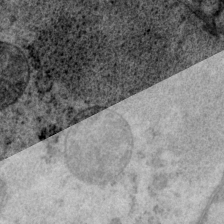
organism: P. pacificus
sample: Pharynx